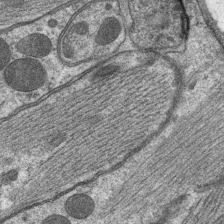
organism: C. elegans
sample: Pharynx